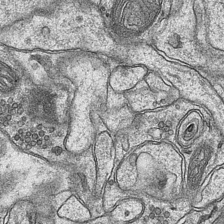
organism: Mouse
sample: CA1 Hippocampus